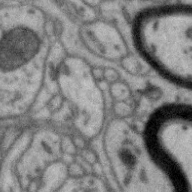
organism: Zebra finch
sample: Brain